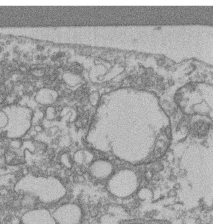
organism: Mouse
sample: T cell stromal cell synapse